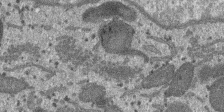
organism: Human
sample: Lung epithelial cells infected with SARS-CoV-2